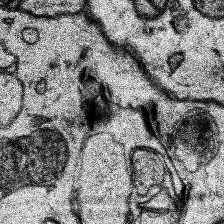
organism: Human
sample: Temporal Lobe